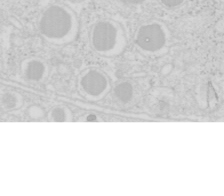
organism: Mouse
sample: Pancreas